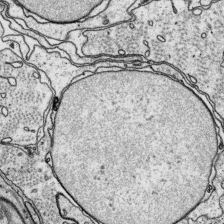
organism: Platynereis dumerilii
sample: Parapodia